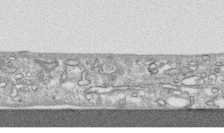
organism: Human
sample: CRL-1474